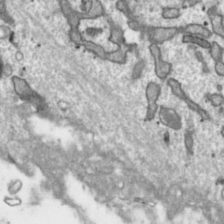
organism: Toxoplasma gondii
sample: Parasites in a vacuole inside a host cell